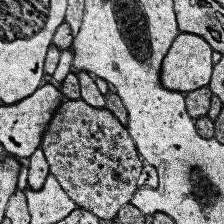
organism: Human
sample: Temporal Lobe